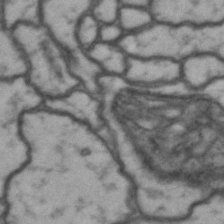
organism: Drosophila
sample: Brain